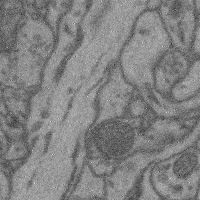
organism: Mouse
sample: Cerebral cortex